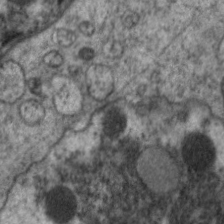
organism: C. elegans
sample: Pharynx